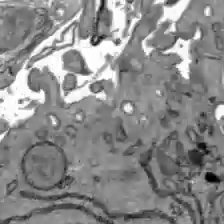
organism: C57BL Mouse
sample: Liver